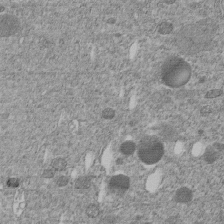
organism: C. elegans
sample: C. elegans embryo early stage